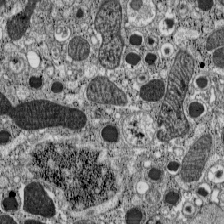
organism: C57BL Mouse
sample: Pancreatic islet